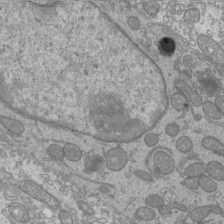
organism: Mouse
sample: Cilia; mouse epididymis